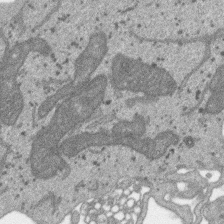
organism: Human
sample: Lung epithelial cells infected with SARS-CoV-2